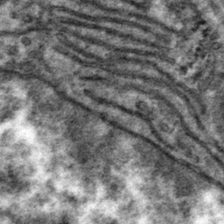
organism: Mouse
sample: Mouse hepatocytes